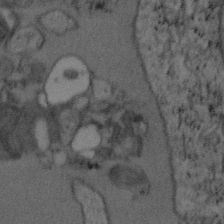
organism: Human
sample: HeLa cells